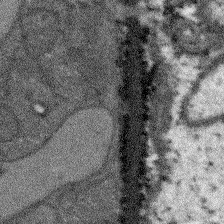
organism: Arabidopsis thaliana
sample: Root tip